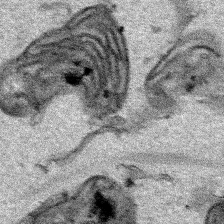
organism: Human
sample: Mitochondria in HCT116 cells